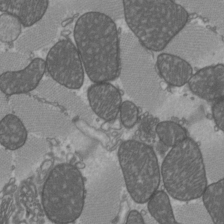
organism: C57BL Mouse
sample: Heart